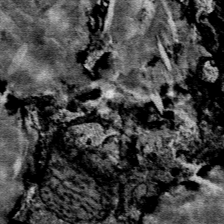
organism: Mouse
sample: Mouse Salivary gland